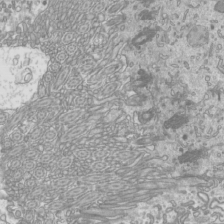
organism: Mouse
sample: Cilia; mouse epididymis